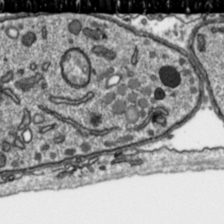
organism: Toxoplasma gondii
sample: Parasites in a vacuole inside a host cell